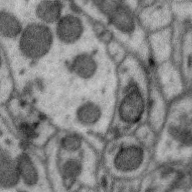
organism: Zebra finch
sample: Brain